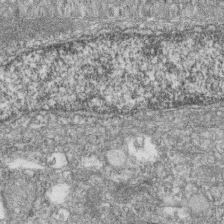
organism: Zebrafish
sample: Cilia; retinal pigment epithelium